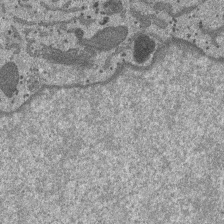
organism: Human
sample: Lung epithelial cells infected with SARS-CoV-2